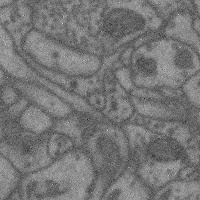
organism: Mouse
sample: Cerebral cortex